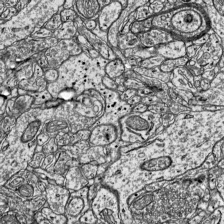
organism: Mouse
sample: Visual Cortex